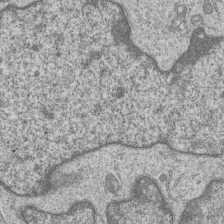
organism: Human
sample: MDA-MB-231 cells